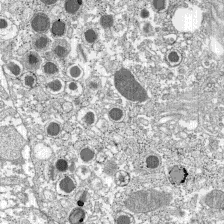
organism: C57BL Mouse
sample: Pancreatic islet